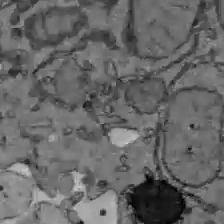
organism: C57BL Mouse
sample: Liver